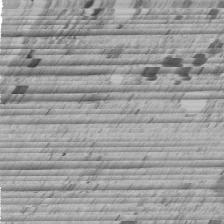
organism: C. elegans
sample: C. elegans embryo early stage